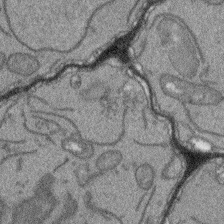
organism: Arabidopsis thaliana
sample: Root tip